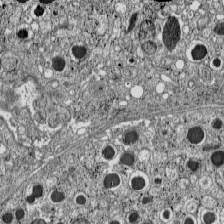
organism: C57BL Mouse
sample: Pancreatic islet